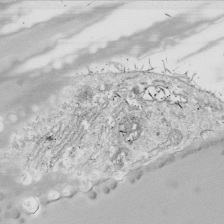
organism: Drosophila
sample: Cell division; meiosis; drosophila spermatocytes